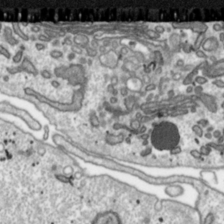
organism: Toxoplasma gondii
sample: Parasites in a vacuole inside a host cell